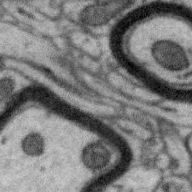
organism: Zebra finch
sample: Brain